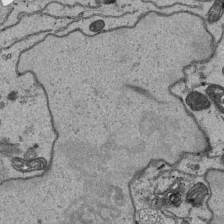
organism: Human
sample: Mitochondria in HCT116 cells